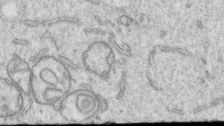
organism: Human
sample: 1205lu cells